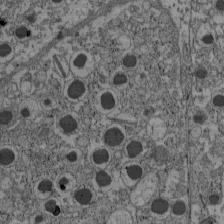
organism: C57BL Mouse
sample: Pancreatic islet